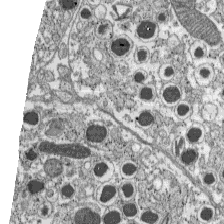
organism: C57BL Mouse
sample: Pancreatic islet